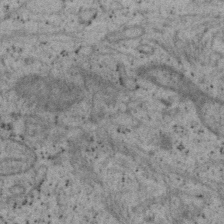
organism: Human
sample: HeLa cells